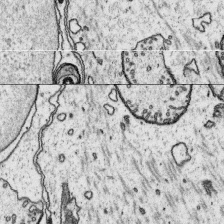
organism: Platynereis dumerilii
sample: Parapodia